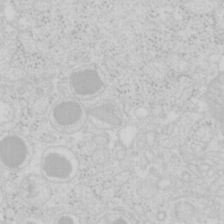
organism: Mouse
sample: Pancreas